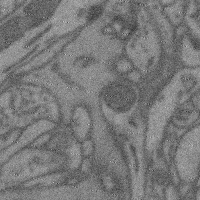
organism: Mouse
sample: Cerebral cortex